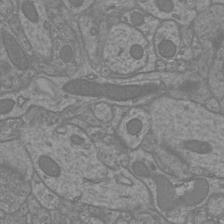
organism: Mouse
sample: Cortical neurons